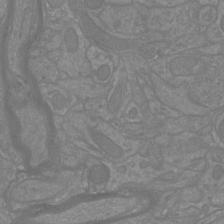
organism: Mouse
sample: Cortical neurons